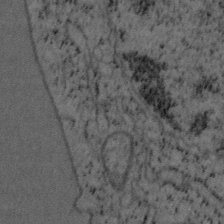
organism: Human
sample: HeLa cells